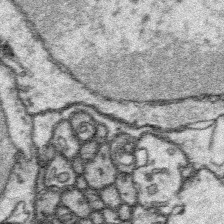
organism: Platynereis dumerilii